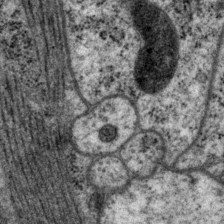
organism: P. pacificus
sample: Pharynx